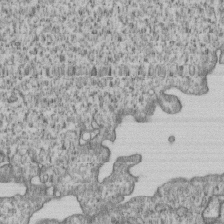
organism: Human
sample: MDA-MB-231 cells